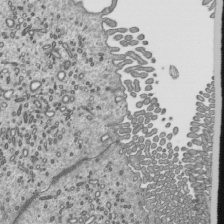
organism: Mouse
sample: Mouse epididymis efferent ductule cilia